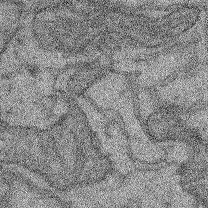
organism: Human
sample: HeLa cells